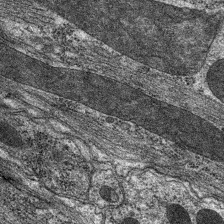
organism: C. elegans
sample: Pharynx